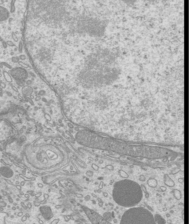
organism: Mouse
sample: Cilia; mouse epididymis